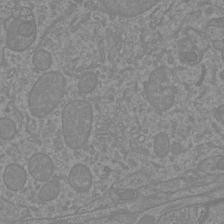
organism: Mouse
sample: Cortical neurons